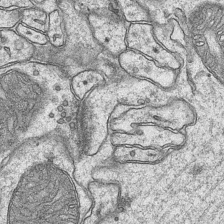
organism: Mouse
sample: CA1 Hippocampus